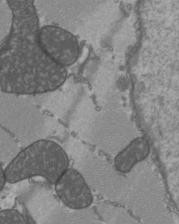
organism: C57BL Mouse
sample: Heart